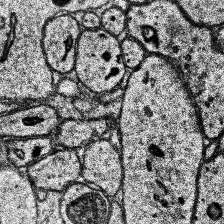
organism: Human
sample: Temporal Lobe